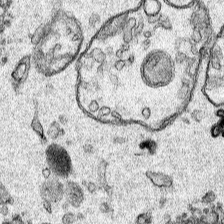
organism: Human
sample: Mitochondria in HCT116 cells